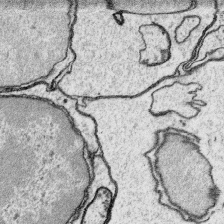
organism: Platynereis dumerilii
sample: Parapodia